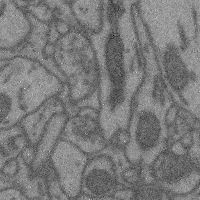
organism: Mouse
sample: Cerebral cortex